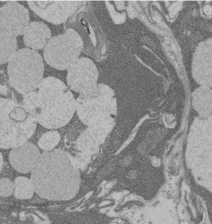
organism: Rat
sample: Salivary granule